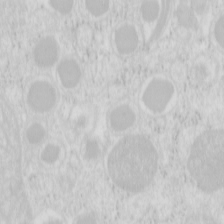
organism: Mouse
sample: Pancreas